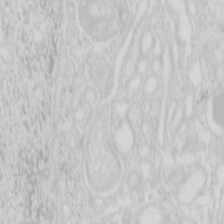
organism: Mouse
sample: Pancreas